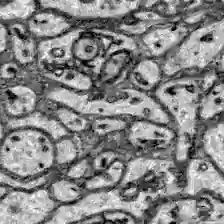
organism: Zebrafish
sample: Brain